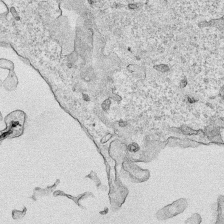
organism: Human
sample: Mitochondria in HCT116 cells